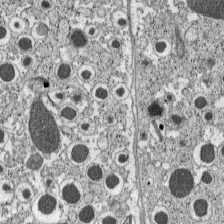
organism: C57BL Mouse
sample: Pancreatic islet